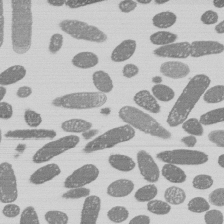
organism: E. coli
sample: Bacterial nucleoid